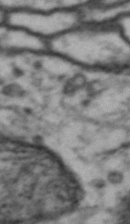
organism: Drosophila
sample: Brain